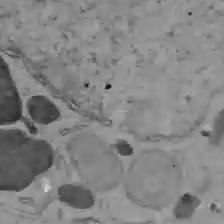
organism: C57BL Mouse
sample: Liver